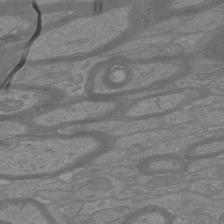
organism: Mouse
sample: Cortical neurons